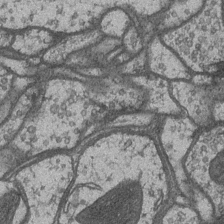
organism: Drosophila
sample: Optic medulla